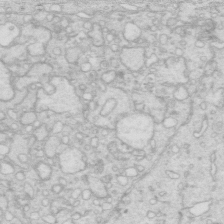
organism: Mouse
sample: Multiciliated cells